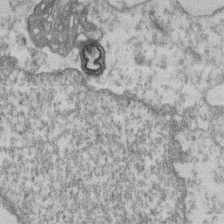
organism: Mouse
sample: T cell stromal cell synapse